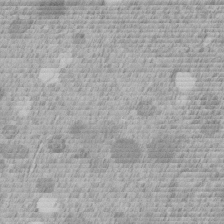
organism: C. elegans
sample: C. elegans embryo early stage